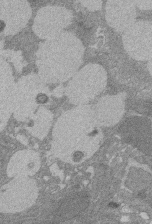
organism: Rat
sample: Salivary granule